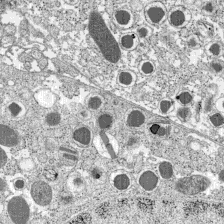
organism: C57BL Mouse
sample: Pancreatic islet